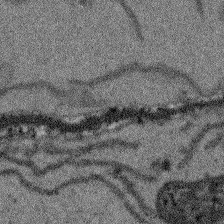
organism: Arabidopsis thaliana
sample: Root tip